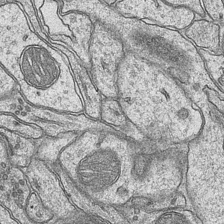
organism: Mouse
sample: CA1 Hippocampus